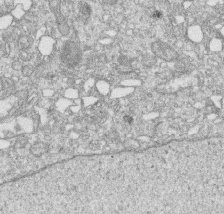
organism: Human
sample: HeLa cell HIV synapse